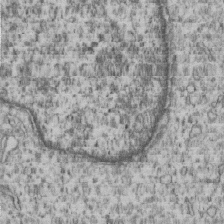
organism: Human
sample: MDA-MB-231 cells